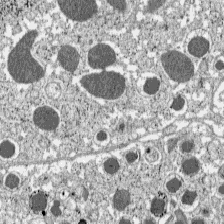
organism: C57BL Mouse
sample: Pancreatic islet